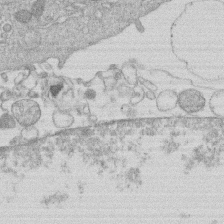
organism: Human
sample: Macrophage cells